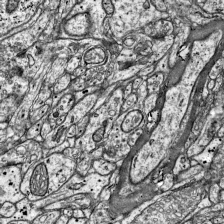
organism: Mouse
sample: Visual Cortex